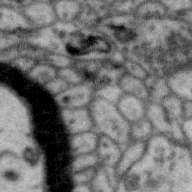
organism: Zebra finch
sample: Brain